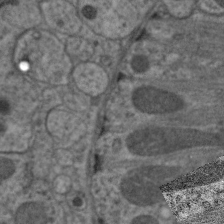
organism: C. elegans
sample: Pharynx